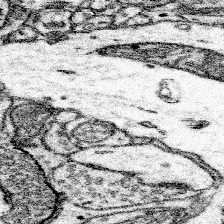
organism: Mouse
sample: Somatosensory cortex neuropil